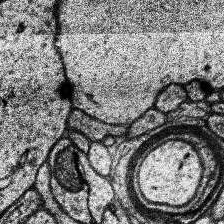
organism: Human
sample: Temporal Lobe